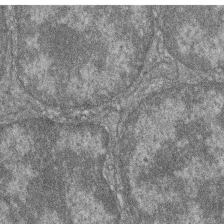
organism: Zebrafish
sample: Cilia; retinal pigment epithelium